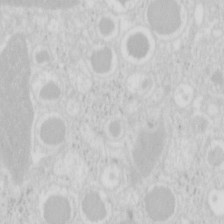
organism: Mouse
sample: Pancreas